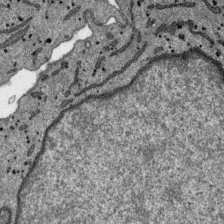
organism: Human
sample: Lung epithelial cells, uninfected (mock) control